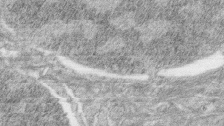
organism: Zebrafish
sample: synaptic ribbons in rod cells and cone cells